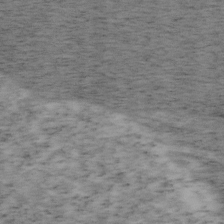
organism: Mouse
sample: OT-I killer T cells with ID8 ovarian cancer cells